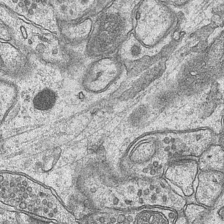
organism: Mouse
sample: CA1 Hippocampus